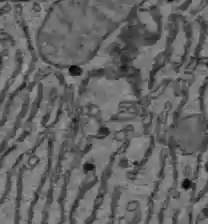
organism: C57BL Mouse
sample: Liver